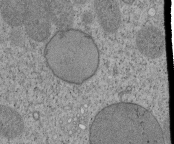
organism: Tetrahymena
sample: Cilia in tetrahymena